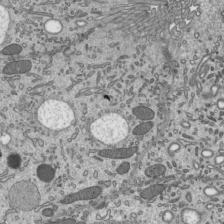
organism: Mouse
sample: Mouse epididymis efferent ductule cilia